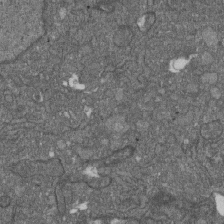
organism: Drosophila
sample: Nephrocyte